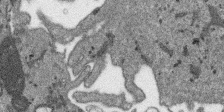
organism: Human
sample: Lung epithelial cells infected with SARS-CoV-2